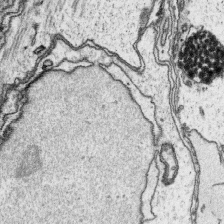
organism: Platynereis dumerilii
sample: Parapodia